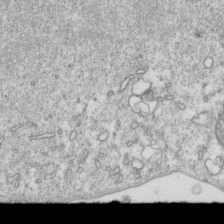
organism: Mouse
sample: Activated OT-1 CD8+ T cells